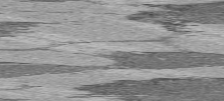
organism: C57BL Mouse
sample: Heart